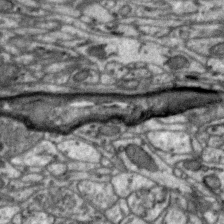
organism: Zebra finch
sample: Brain